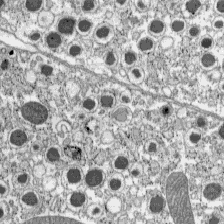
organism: C57BL Mouse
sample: Pancreatic islet